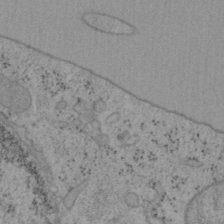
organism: Human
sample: HeLa cells